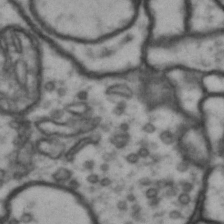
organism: Drosophila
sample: Brain